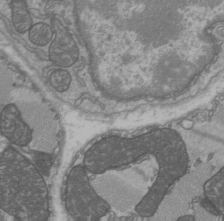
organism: C57BL Mouse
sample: Heart